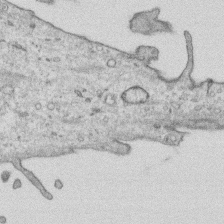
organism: Human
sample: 1205lu cells